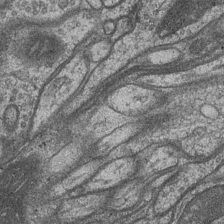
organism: Drosophila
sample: Optic medulla